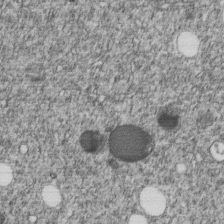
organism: C. elegans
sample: C. elegans embryo early stage